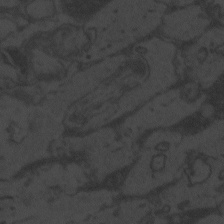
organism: Zebrafish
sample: Macrophage infected with Toxoplasma gondii